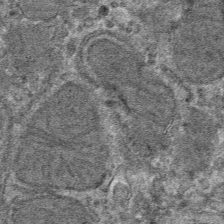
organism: Mouse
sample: Mouse hepatocytes